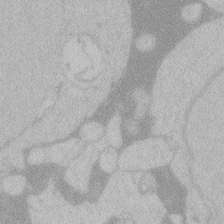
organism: Zebrafish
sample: Macrophage infected with Toxoplasma gondii